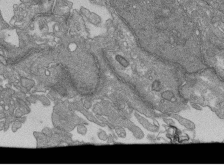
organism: Human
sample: Retinal organoid Rod and Cone cells